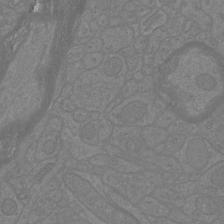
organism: Mouse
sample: Cortical neurons